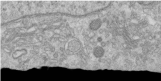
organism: Human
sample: Centriole in RPE cells